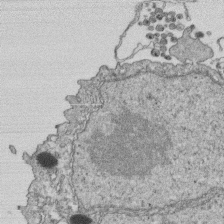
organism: Human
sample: HeLa cell HIV synapse